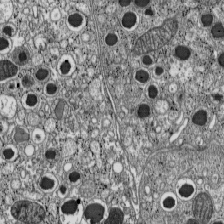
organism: C57BL Mouse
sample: Pancreatic islet